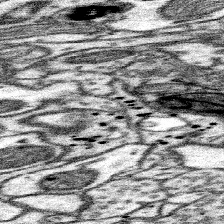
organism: Mouse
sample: Somatosensory cortex neuropil